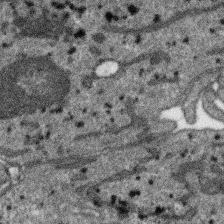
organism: Human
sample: Lung epithelial cells infected with SARS-CoV-2